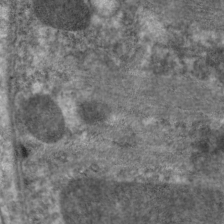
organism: C. elegans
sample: Pharynx